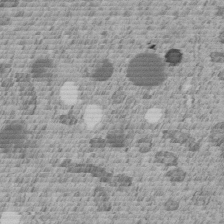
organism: C. elegans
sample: C. elegans embryo early stage